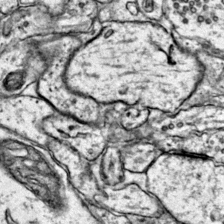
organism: Mouse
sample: Primary visual cortex